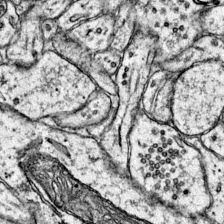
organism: Mouse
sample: Primary visual cortex